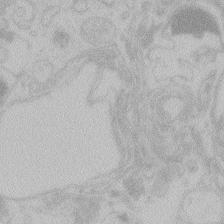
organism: Zebrafish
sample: Macrophage infected with Toxoplasma gondii